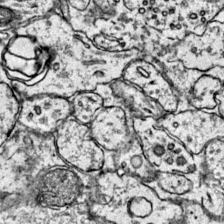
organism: Mouse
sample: Primary visual cortex